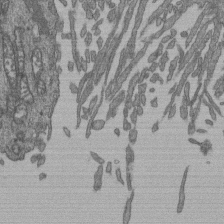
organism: Human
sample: Retinal organoid Rod and Cone cells